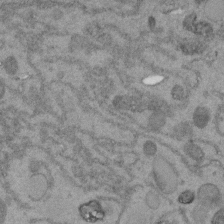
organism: C. elegans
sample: C. elegans embryo early stage